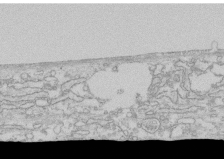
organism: Human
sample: CRL-1474